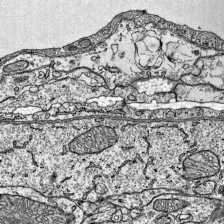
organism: Mouse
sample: Visual Cortex